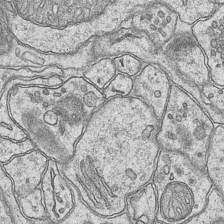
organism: Mouse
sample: CA1 Hippocampus